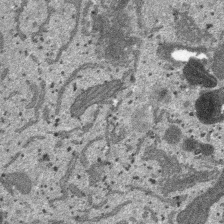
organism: Human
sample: Lung epithelial cells infected with SARS-CoV-2